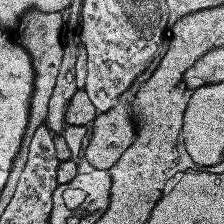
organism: Human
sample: Temporal Lobe